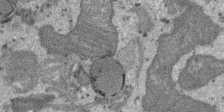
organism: Human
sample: Lung epithelial cells infected with SARS-CoV-2